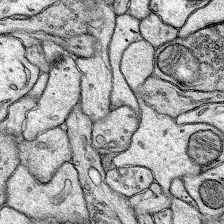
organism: Rat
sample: Hippocampus